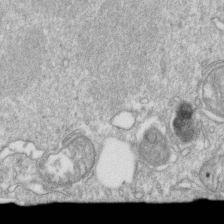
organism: Mouse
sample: Activated OT-1 CD8+ T cells